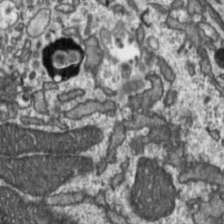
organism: Toxoplasma gondii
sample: Parasites in a vacuole inside a host cell